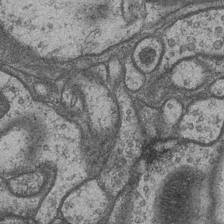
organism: Drosophila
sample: Optic medulla